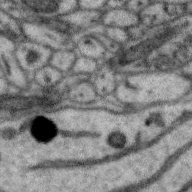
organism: Zebra finch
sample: Brain